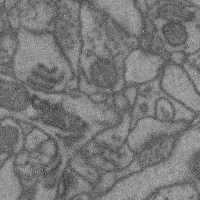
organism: Mouse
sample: Cerebral cortex